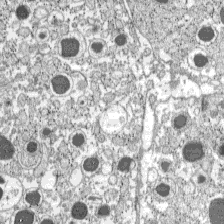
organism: C57BL Mouse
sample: Pancreatic islet